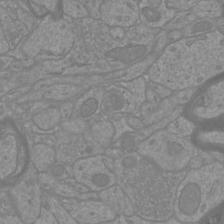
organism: Mouse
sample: Cortical neurons